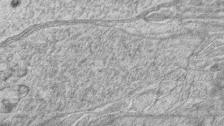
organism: Zebrafish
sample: synaptic ribbons in rod cells and cone cells